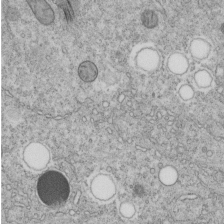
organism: C. elegans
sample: C. elegans embryo early stage